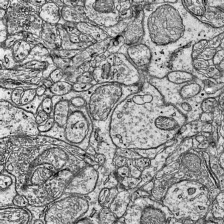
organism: Mouse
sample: Visual Cortex